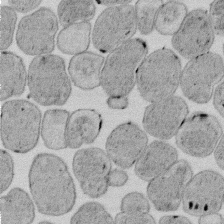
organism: E. coli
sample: Bacterial nucleoid